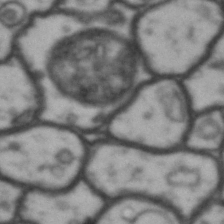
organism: Drosophila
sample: Brain